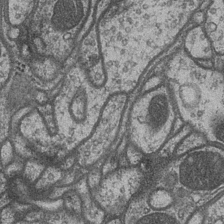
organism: Drosophila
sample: Optic medulla